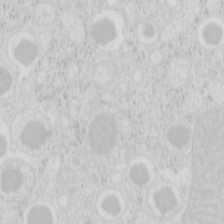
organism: Mouse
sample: Pancreas